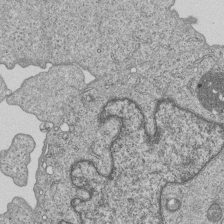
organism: Human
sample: MDA-MB-231 cells